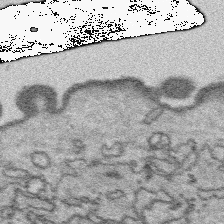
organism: Platynereis dumerilii